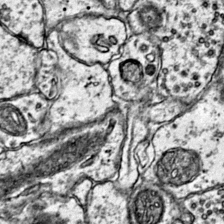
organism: Mouse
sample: Primary visual cortex